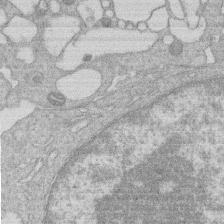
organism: Human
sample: Macrophage cells